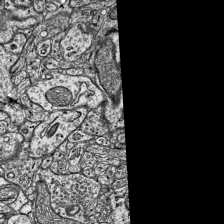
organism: Mouse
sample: Visual Cortex